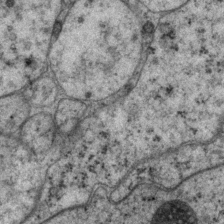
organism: P. pacificus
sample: Pharynx